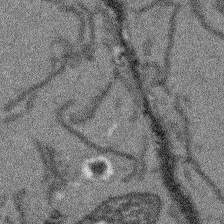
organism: Arabidopsis thaliana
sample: Root tip